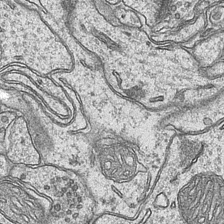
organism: Mouse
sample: CA1 Hippocampus